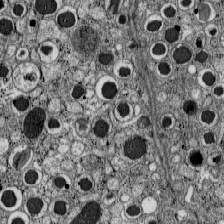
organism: C57BL Mouse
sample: Pancreatic islet